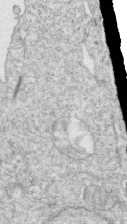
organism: Human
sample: HeLa cell HIV synapse